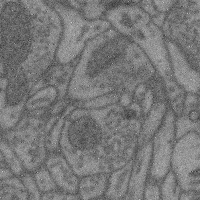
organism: Mouse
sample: Cerebral cortex